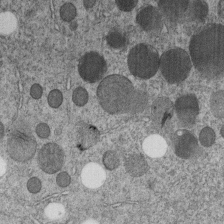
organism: C. elegans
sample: C. elegans embryo early stage